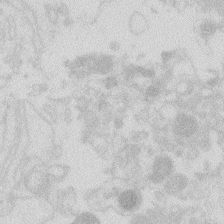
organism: Zebrafish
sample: Macrophage